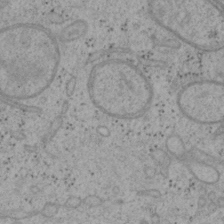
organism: Human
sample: HeLa cells